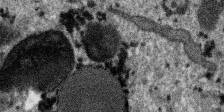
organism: Human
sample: Lung epithelial cells infected with SARS-CoV-2